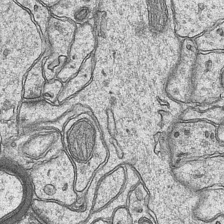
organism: Mouse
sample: CA1 Hippocampus